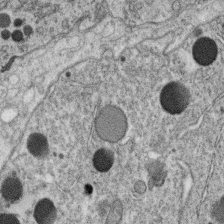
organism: C. elegans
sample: C. elegans oocyte; sperm cells